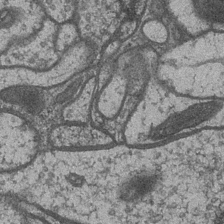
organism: Drosophila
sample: Optic medulla